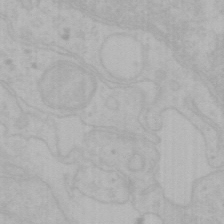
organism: Mouse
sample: Choroid plexus